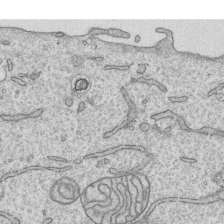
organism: Human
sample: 1205lu cells